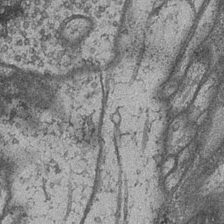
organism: Drosophila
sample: Optic medulla